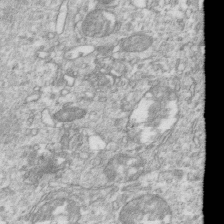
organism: Mouse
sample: Activated OT-1 CD8+ T cells